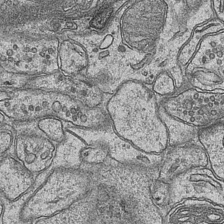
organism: Mouse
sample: CA1 Hippocampus